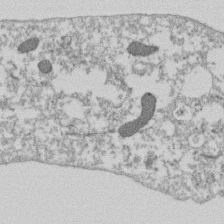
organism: Dictyostelium discoideum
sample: Dictyostelium multivesicular bodies